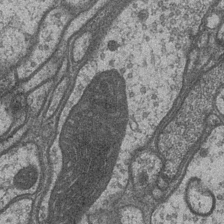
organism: Drosophila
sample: Optic medulla